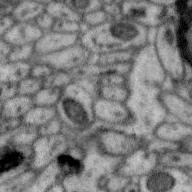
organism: Zebra finch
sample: Brain